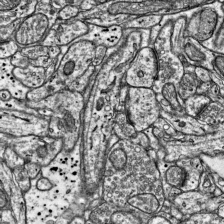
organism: Mouse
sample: Visual Cortex